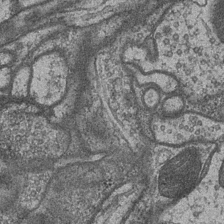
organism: Drosophila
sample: Optic medulla